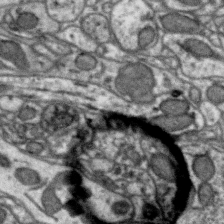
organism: Zebra finch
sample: Brain